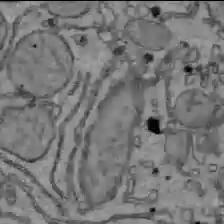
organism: C57BL Mouse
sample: Liver